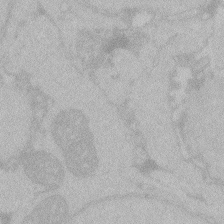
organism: Zebrafish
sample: Macrophage infected with Toxoplasma gondii